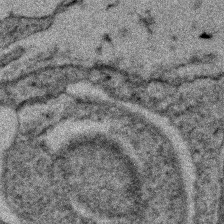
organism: Zebrafish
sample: Zebrafish embryo